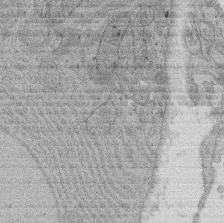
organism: Rat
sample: Salivary granule